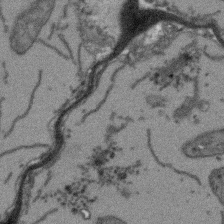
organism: Arabidopsis thaliana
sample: Root tip